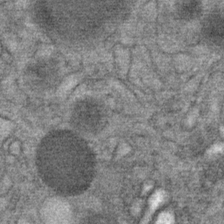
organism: Mouse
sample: Mouse Salivary gland